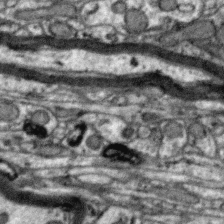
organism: Zebra finch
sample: Brain